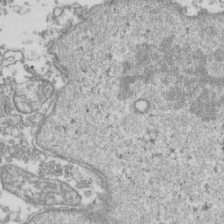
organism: Human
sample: Activated Jurkat CD4+ T cells